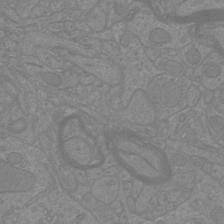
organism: Mouse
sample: Cortical neurons